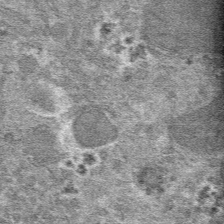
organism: Mouse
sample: Mouse hepatocytes